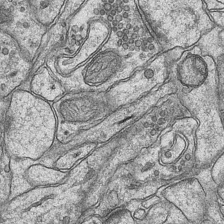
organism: Mouse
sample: CA1 Hippocampus